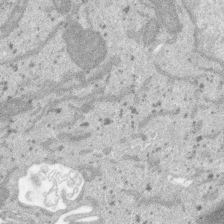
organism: Human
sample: Lung epithelial cells infected with SARS-CoV-2